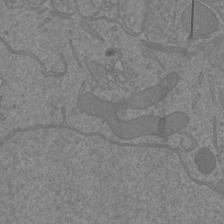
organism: Mouse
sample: Cortical neurons